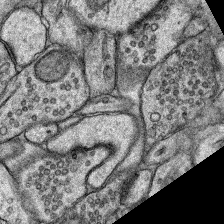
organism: Rat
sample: Hippocampus